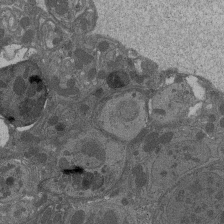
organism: Drosophila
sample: Antenna